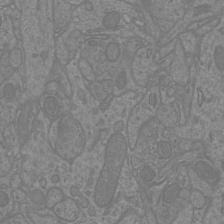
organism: Mouse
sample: Cortical neurons